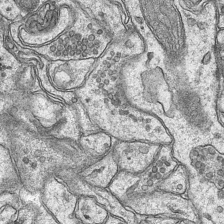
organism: Mouse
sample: CA1 Hippocampus